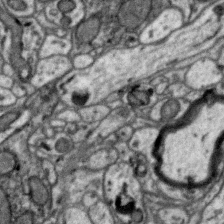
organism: Zebra finch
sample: Brain